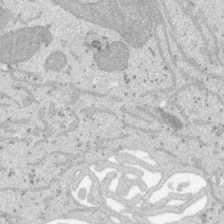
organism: Human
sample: Lung epithelial cells infected with SARS-CoV-2